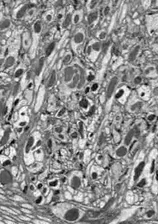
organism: Drosophila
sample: Optic lobe